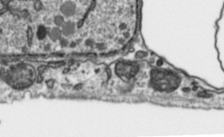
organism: Toxoplasma gondii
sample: Parasites in a vacuole inside a host cell